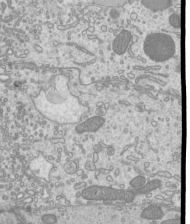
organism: Mouse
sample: Cilia; mouse epididymis